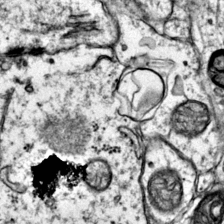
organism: Mouse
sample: Primary visual cortex